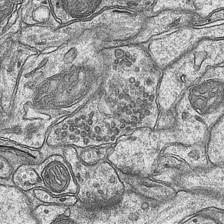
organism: Mouse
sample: CA1 Hippocampus